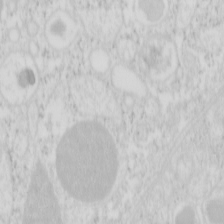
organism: Mouse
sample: Pancreas